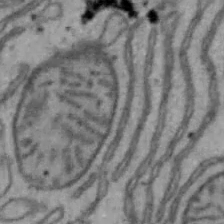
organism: Mouse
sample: Liver